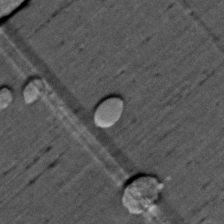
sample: Trachea